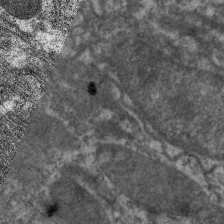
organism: C. elegans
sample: Pharynx